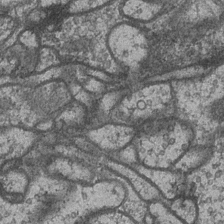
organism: Drosophila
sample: Optic medulla